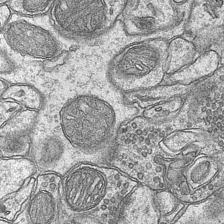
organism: Mouse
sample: CA1 Hippocampus